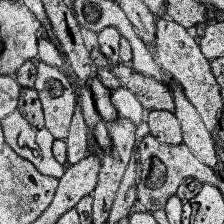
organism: Human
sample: Temporal Lobe